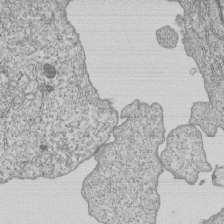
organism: Human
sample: MDA-MB-231 cells